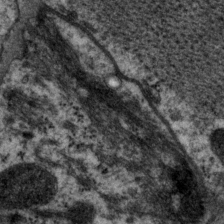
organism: P. pacificus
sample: Pharynx